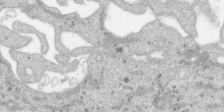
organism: Human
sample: Lung epithelial cells infected with SARS-CoV-2